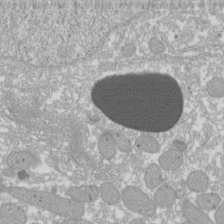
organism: Xenopus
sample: Cilia; centrioles in frog embryo cells